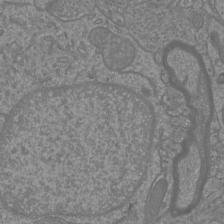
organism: Mouse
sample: Cortical neurons